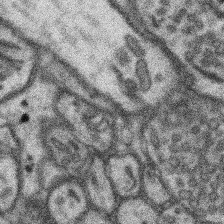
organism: Mouse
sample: Somatosensory cortex neuropil